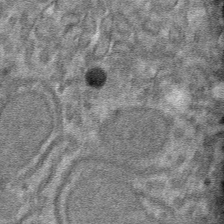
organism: Mouse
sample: Mouse hepatocytes